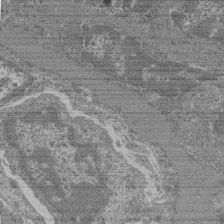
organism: Mouse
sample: Glomerulus